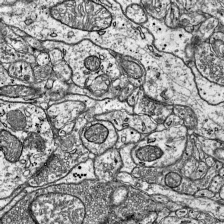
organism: Mouse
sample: Visual Cortex